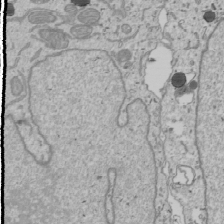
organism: Human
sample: Mitochondria in U2OS cells